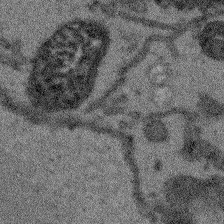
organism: Arabidopsis thaliana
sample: Root tip